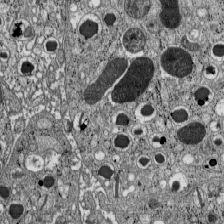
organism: C57BL Mouse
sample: Pancreatic islet